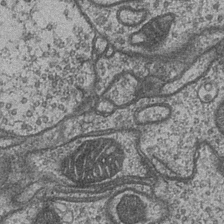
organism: Drosophila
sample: Optic medulla